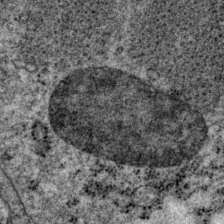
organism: P. pacificus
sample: Pharynx